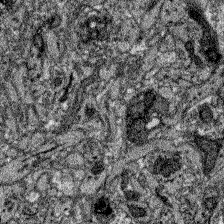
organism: Zebrafish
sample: Larval olfactory bulb